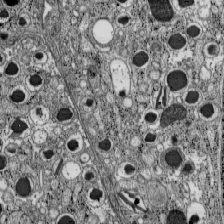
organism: C57BL Mouse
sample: Pancreatic islet